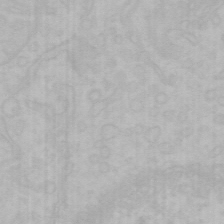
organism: Mouse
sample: Choroid plexus